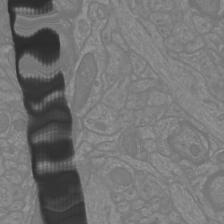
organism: Mouse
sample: Cortical neurons